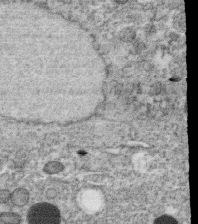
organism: C. elegans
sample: C. elegans oocyte; sperm cells